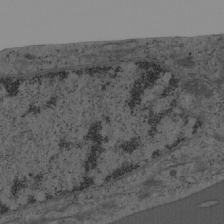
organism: Human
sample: HeLa cells